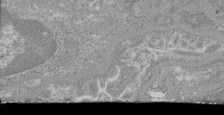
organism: Mouse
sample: Glomerulus